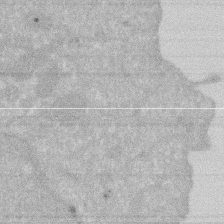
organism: Human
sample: HIV infected U937 cells